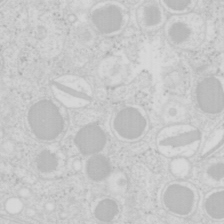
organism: Mouse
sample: Pancreas